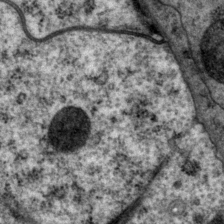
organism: P. pacificus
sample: Pharynx